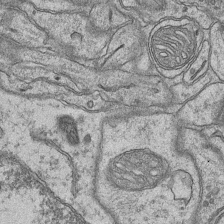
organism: Mouse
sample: CA1 Hippocampus